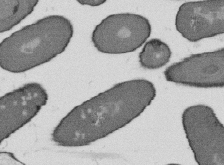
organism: B. subtilis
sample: Bacterial spore